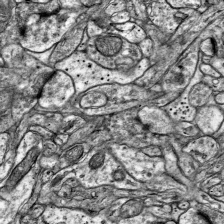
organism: Mouse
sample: Visual Cortex